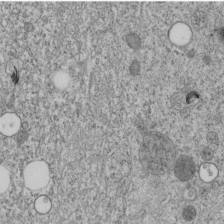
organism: C. elegans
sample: C. elegans embryo early stage